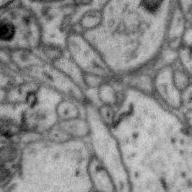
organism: Zebra finch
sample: Brain